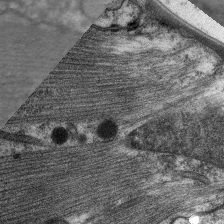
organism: C. elegans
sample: Pharynx